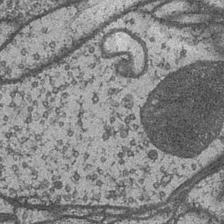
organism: Drosophila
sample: Optic medulla